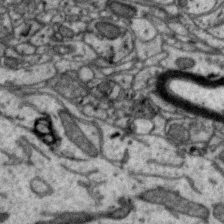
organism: Zebra finch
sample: Brain